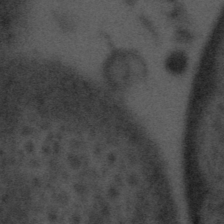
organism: Tuwongella immobilis